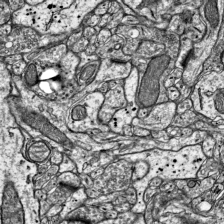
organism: Mouse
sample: Visual Cortex